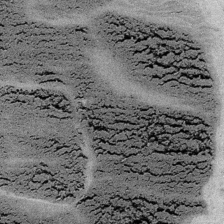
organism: Embia sp.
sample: Silk gland